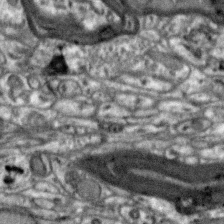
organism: Zebra finch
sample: Brain